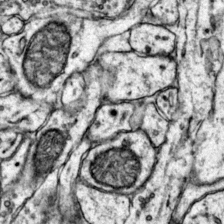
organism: Mouse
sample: Primary visual cortex